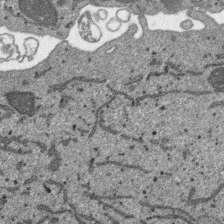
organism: Human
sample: Lung epithelial cells infected with SARS-CoV-2